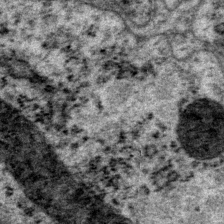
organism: P. pacificus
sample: Pharynx